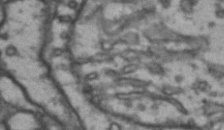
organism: Drosophila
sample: Brain